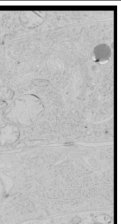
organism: Human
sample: Mitochondria in HCT116 cells